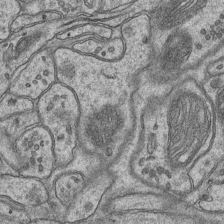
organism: Mouse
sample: CA1 Hippocampus